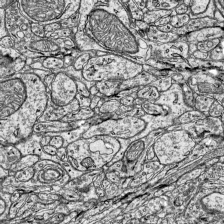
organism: Mouse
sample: Visual Cortex